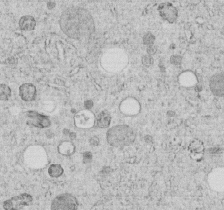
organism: C. elegans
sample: C. elegans embryo early stage